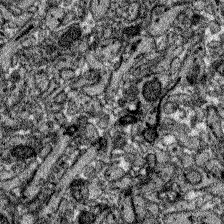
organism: Zebrafish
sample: Larval olfactory bulb